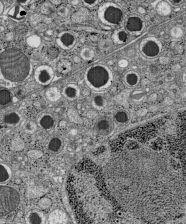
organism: C57BL Mouse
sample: Pancreatic islet